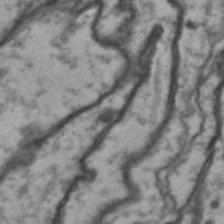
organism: Drosophila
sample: Brain